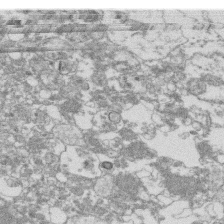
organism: Human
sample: HeLa cell HIV synapse